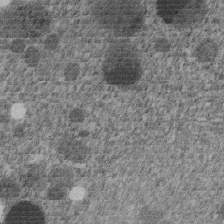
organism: C. elegans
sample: C. elegans embryo early stage